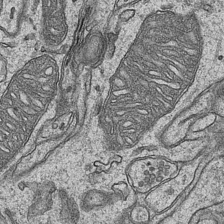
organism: Mouse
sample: CA1 Hippocampus